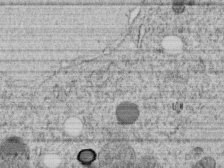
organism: C. elegans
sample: C. elegans embryo early stage